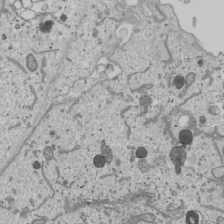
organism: Human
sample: Mitochondria in U2OS cells